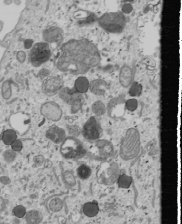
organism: Human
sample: Mitochondria in U2OS cells